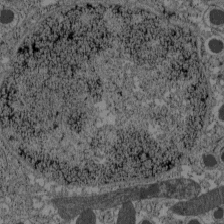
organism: C57BL Mouse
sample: Pancreatic islet